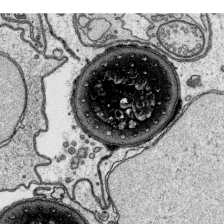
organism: Platynereis dumerilii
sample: Parapodia